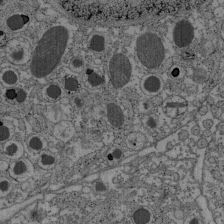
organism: C57BL Mouse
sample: Pancreatic islet